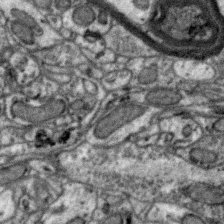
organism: Zebra finch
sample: Brain